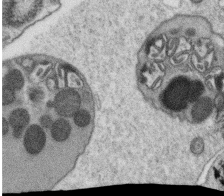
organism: C. elegans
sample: C. elegans oocyte; sperm cells